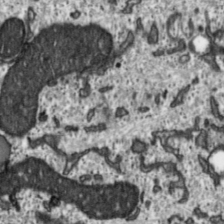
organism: Toxoplasma gondii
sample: Parasites in a vacuole inside a host cell